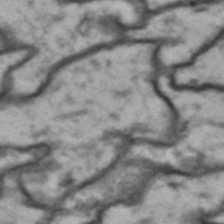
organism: Drosophila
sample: Brain